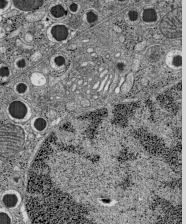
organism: C57BL Mouse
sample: Pancreatic islet